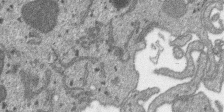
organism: Human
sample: Lung epithelial cells infected with SARS-CoV-2